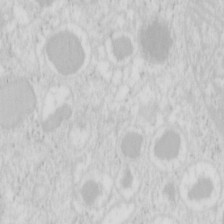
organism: Mouse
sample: Pancreas